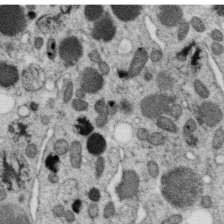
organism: C. elegans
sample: C. elegans oocyte; sperm cells